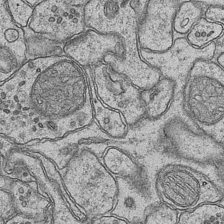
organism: Mouse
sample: CA1 Hippocampus